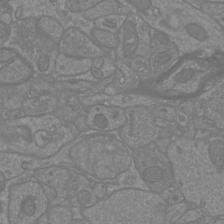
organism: Mouse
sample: Cortical neurons